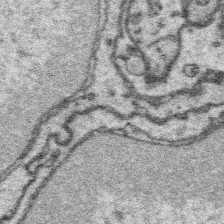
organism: Platynereis dumerilii